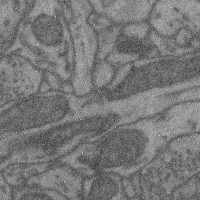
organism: Mouse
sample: Cerebral cortex